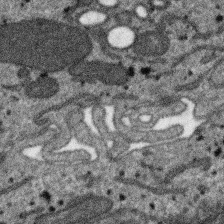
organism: Human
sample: Lung epithelial cells infected with SARS-CoV-2